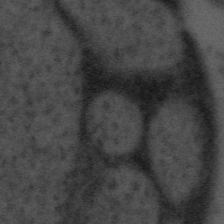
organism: Tuwongella immobilis